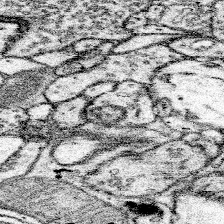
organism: Mouse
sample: Somatosensory cortex neuropil